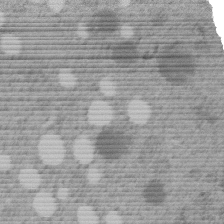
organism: C. elegans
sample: C. elegans embryo early stage